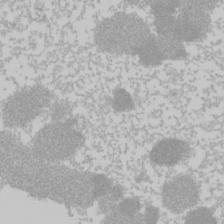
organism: Mouse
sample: Cancer cell death in ED-1 cells